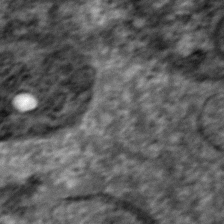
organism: Zebrafish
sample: Zebrafish embryo